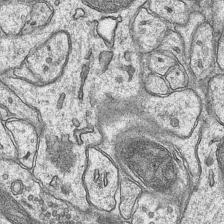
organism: Mouse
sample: CA1 Hippocampus